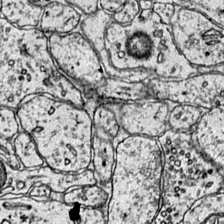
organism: Mouse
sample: Primary visual cortex